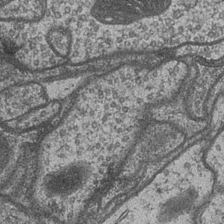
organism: Drosophila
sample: Optic medulla